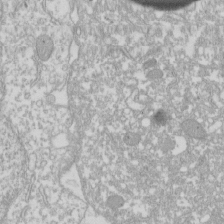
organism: Xenopus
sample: Cilia; centrioles in frog embryo cells